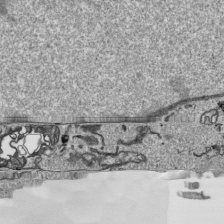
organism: Human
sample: Mitochondria in HCT116 cells